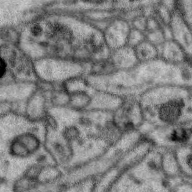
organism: Zebra finch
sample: Brain